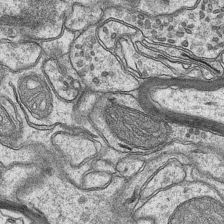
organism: Mouse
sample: CA1 Hippocampus